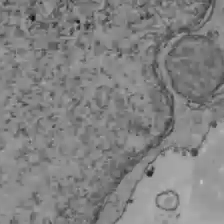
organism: C57BL Mouse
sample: Liver